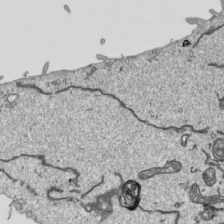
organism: Human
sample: Mitochondria in HCT116 cells